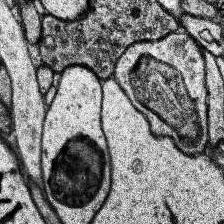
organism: Human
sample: Temporal Lobe